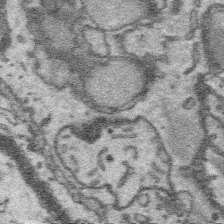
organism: Platynereis dumerilii